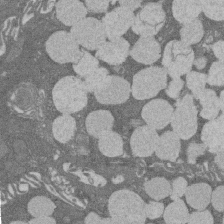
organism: Rat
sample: Salivary granule